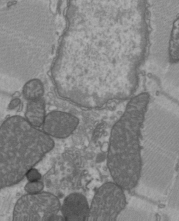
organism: C57BL Mouse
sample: Heart